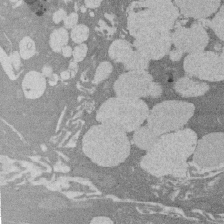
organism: Rat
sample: Salivary granule